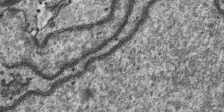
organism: Human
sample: Lung epithelial cells infected with SARS-CoV-2